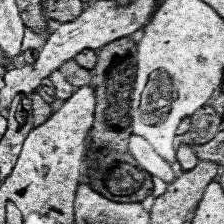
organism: Human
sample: Temporal Lobe